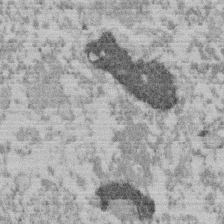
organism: Mouse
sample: Dividing mouse embryo 1 cell stage